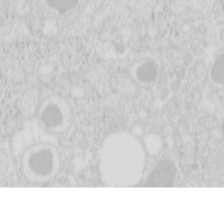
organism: Mouse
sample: Pancreas